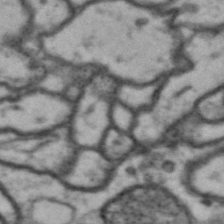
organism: Drosophila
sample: Brain